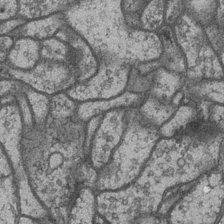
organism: Drosophila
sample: Optic medulla